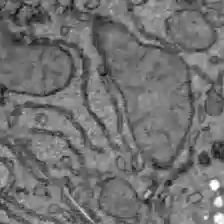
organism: C57BL Mouse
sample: Liver